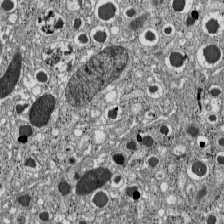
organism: C57BL Mouse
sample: Pancreatic islet